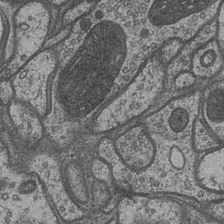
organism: Drosophila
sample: Optic medulla